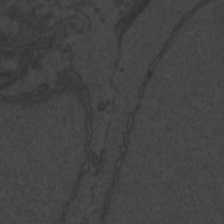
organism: Zebrafish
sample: Macrophage infected with Toxoplasma gondii